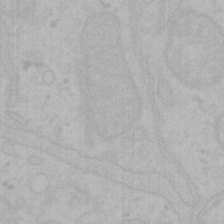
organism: Mouse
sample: Choroid plexus